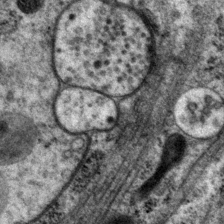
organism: P. pacificus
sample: Pharynx